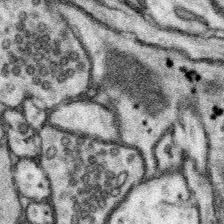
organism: Mouse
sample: Somatosensory cortex neuropil